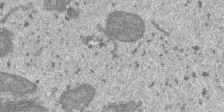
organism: Human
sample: Lung epithelial cells infected with SARS-CoV-2